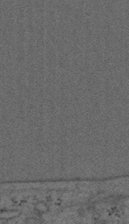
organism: Human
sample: HeLa cells